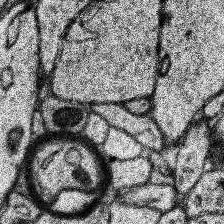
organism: Human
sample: Temporal Lobe